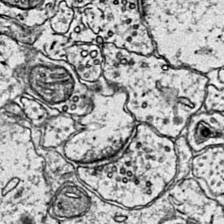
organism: Mouse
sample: Primary visual cortex